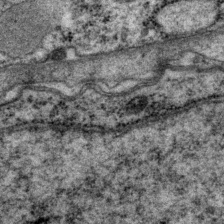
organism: P. pacificus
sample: Pharynx